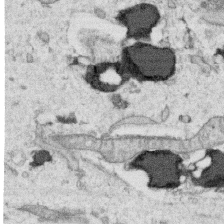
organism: Human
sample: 1205lu cells